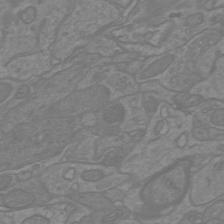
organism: Mouse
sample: Cortical neurons